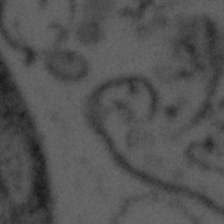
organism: Tuwongella immobilis